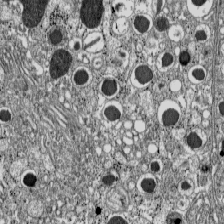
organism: C57BL Mouse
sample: Pancreatic islet